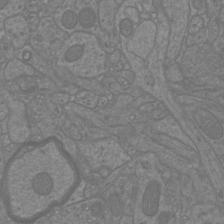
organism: Mouse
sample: Cortical neurons